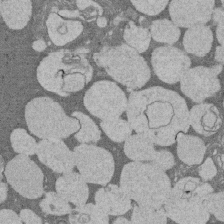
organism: Rat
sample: Salivary granule